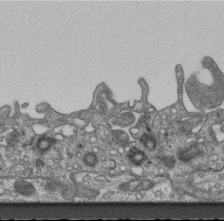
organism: Mouse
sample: Centriole in ependymal cells